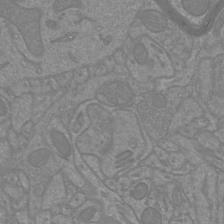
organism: Mouse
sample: Cortical neurons